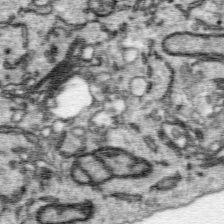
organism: Human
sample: HeLa cells